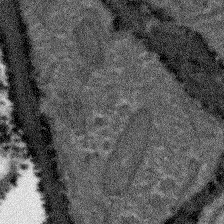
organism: Arabidopsis thaliana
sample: Root tip